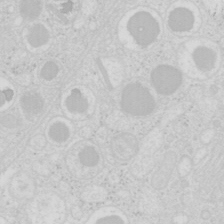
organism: Mouse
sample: Pancreas